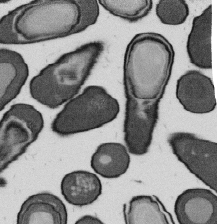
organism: B. subtilis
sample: Bacterial spore